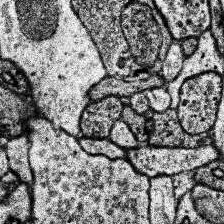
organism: Human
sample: Temporal Lobe